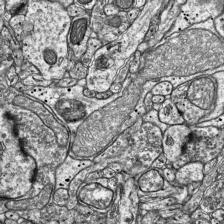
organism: Mouse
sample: Visual Cortex